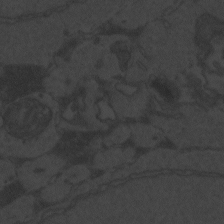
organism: Zebrafish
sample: Macrophage infected with Toxoplasma gondii